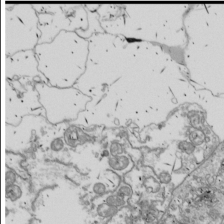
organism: Drosophila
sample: Cell division; meiosis; drosophila spermatocytes